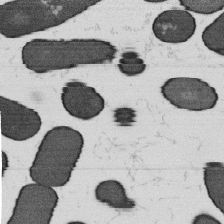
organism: B. subtilis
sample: Bacterial spore